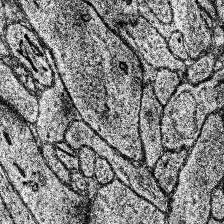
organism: Human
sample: Temporal Lobe